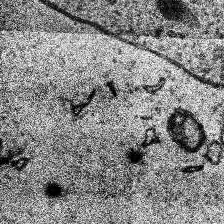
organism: Human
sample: Temporal Lobe